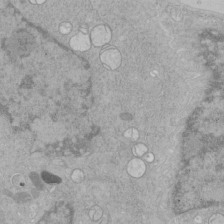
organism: Human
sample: Mitochondria in HCT116 cells